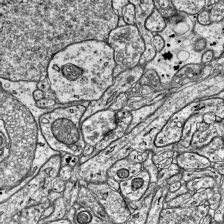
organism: Mouse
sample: Visual Cortex